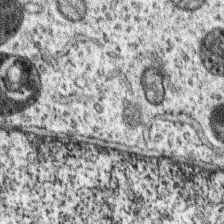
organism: Human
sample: HeLa cells